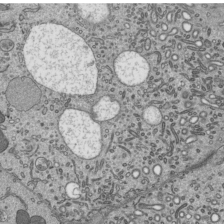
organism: Mouse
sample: Mouse epididymis efferent ductule cilia